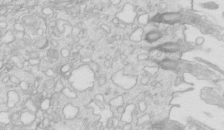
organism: Mouse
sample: Multiciliated cells